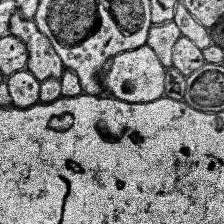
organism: Human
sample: Temporal Lobe